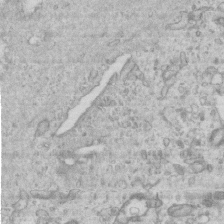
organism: Mouse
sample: Centriole in ependymal cells